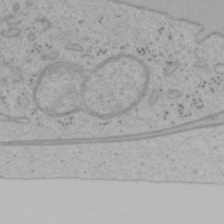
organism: Human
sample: HeLa cells